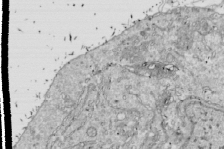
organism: Drosophila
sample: Cell division; meiosis; drosophila spermatocytes